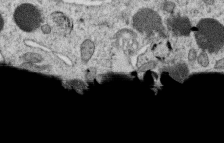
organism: C. elegans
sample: C. elegans oocyte; sperm cells